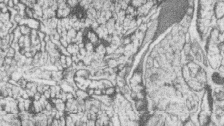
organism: Zebrafish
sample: synaptic ribbons in rod cells and cone cells